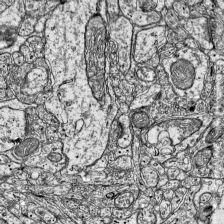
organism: Mouse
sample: Visual Cortex